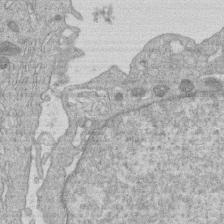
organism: Human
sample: Macrophage cells